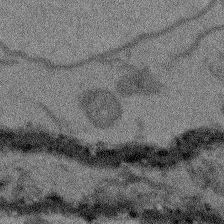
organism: Arabidopsis thaliana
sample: Root tip